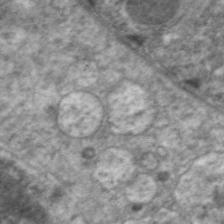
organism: C. elegans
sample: Pharynx